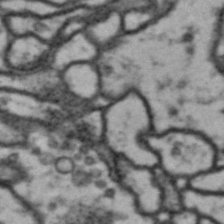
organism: Drosophila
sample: Brain